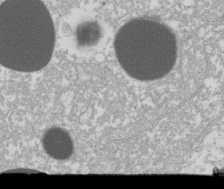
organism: Xenopus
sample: Cilia; centrioles in frog embryo cells